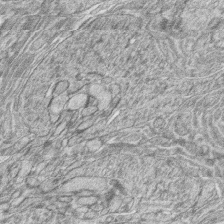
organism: Zebrafish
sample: synaptic ribbons in rod cells and cone cells